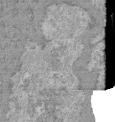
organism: Mouse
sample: Glomerulus